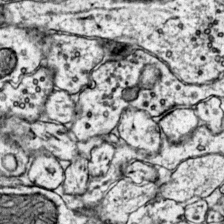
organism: Mouse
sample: Primary visual cortex